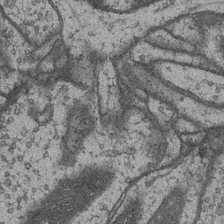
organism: Drosophila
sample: Optic medulla